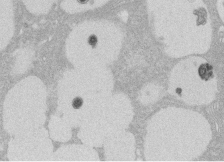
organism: Rat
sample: Salivary granule